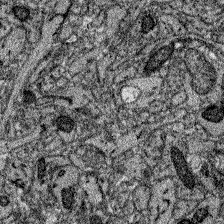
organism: Zebrafish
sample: Larval olfactory bulb